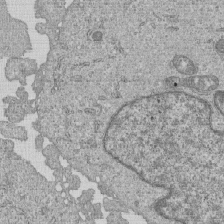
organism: Human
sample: MDA-MB-231 cells